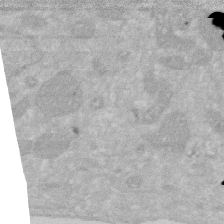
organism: Human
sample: HIV infected U937 cells